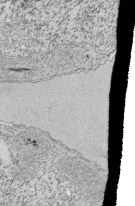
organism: Tetrahymena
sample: Cilia in tetrahymena